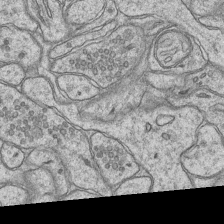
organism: Mouse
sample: CA1 Hippocampus